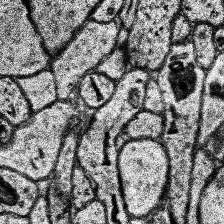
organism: Human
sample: Temporal Lobe